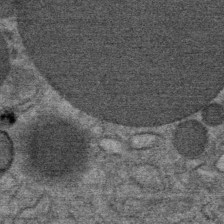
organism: Mouse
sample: Mouse Salivary gland